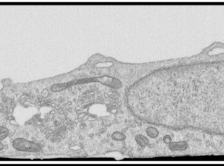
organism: Human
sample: Centriole in RPE cells